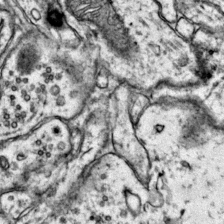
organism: Mouse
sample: Primary visual cortex